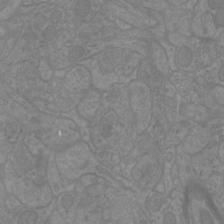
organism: Mouse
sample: Cortical neurons